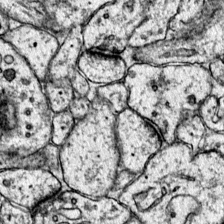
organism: Mouse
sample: Primary visual cortex